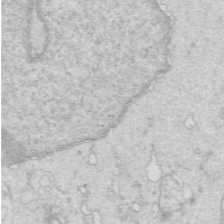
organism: Mouse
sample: Multiciliated cells